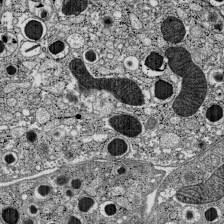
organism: C57BL Mouse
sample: Pancreatic islet